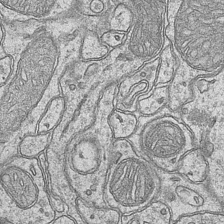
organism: Mouse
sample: CA1 Hippocampus